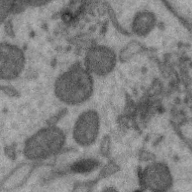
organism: Zebra finch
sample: Brain